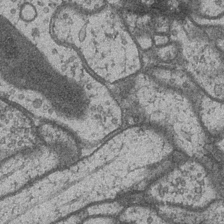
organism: Drosophila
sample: Optic medulla